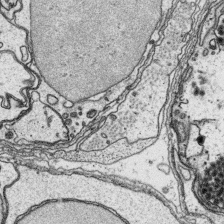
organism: Platynereis dumerilii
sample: Parapodia